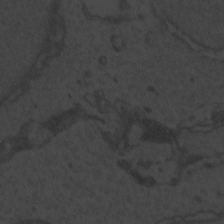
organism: Zebrafish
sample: Macrophage infected with Toxoplasma gondii